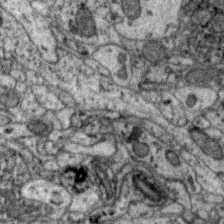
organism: Zebra finch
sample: Brain